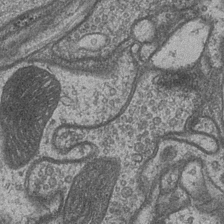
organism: Drosophila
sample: Optic medulla